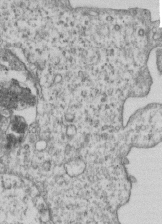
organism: Human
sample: MDA-MB-231 cells